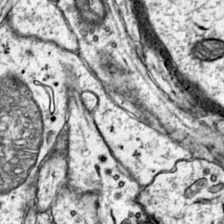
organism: Mouse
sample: Primary visual cortex